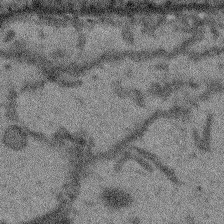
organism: Arabidopsis thaliana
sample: Root tip